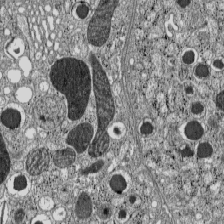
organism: C57BL Mouse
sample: Pancreatic islet